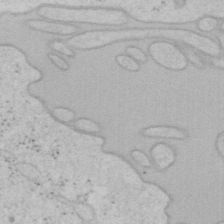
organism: Human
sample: HeLa cells